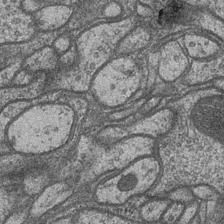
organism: Drosophila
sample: Optic medulla